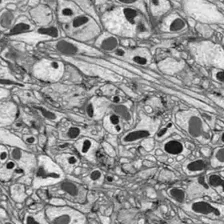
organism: Drosophila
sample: Optic lobe